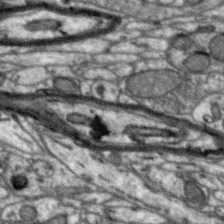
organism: Zebra finch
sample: Brain